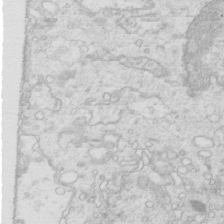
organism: Mouse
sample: Multiciliated cells